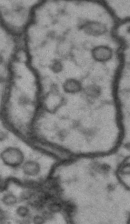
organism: Drosophila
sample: Brain